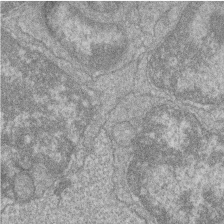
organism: Zebrafish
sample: Cilia; retinal pigment epithelium